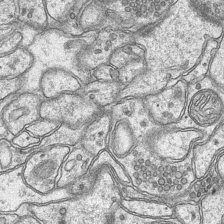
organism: Mouse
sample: CA1 Hippocampus